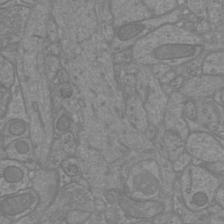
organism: Mouse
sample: Cortical neurons